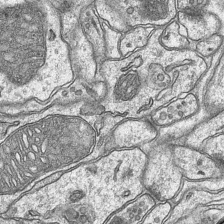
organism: Mouse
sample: CA1 Hippocampus